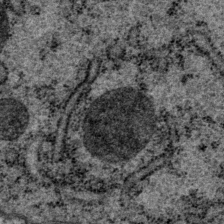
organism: P. pacificus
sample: Pharynx